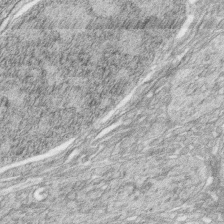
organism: Zebrafish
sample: synaptic ribbons in rod cells and cone cells